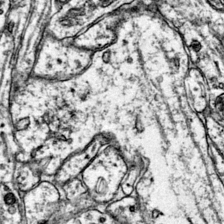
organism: Mouse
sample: Primary visual cortex